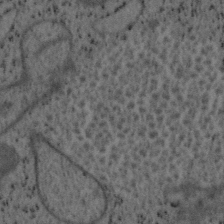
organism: Human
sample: HeLa cells